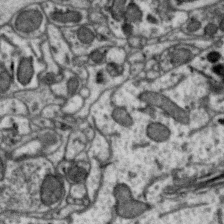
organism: Zebra finch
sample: Brain